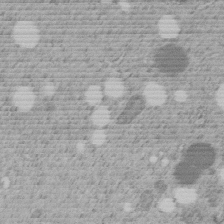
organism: C. elegans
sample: C. elegans embryo early stage